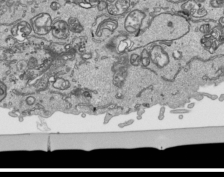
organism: Human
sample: Mitochondria in HCT116 cells